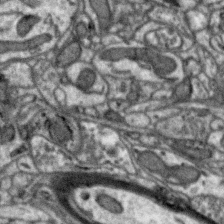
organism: Zebra finch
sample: Brain